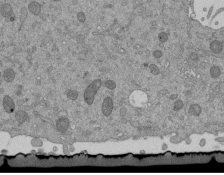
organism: Mouse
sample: ED-1 cell nuclei; centrioles